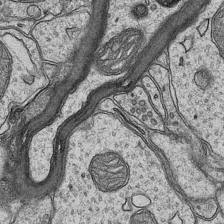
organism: Mouse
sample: CA1 Hippocampus